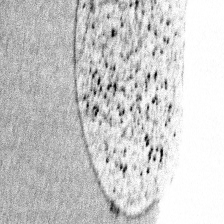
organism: Human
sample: HeLa cells